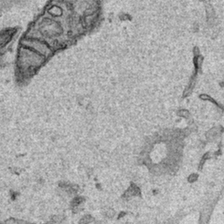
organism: Human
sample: Mitochondria in HCT116 cells